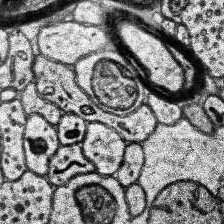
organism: Human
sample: Temporal Lobe